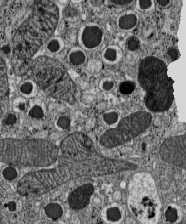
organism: C57BL Mouse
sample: Pancreatic islet